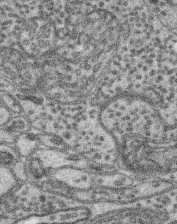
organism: Mouse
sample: Retina